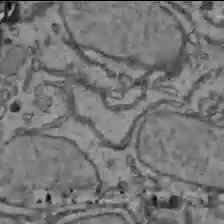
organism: C57BL Mouse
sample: Liver